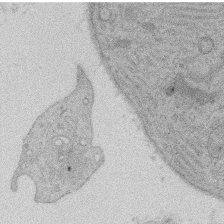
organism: Rat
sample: Salivary granule